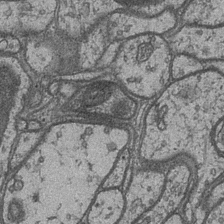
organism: Drosophila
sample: Optic medulla